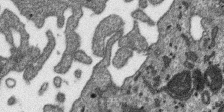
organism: Human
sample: Lung epithelial cells infected with SARS-CoV-2